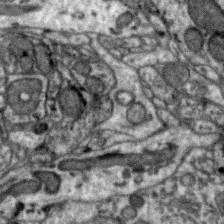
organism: Zebra finch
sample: Brain